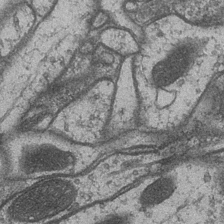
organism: Drosophila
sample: Optic medulla